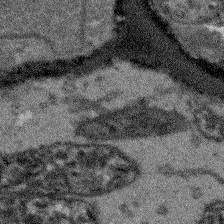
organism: Arabidopsis thaliana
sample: Root tip